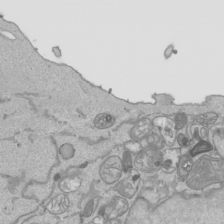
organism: Human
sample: Mitochondria in HCT116 cells